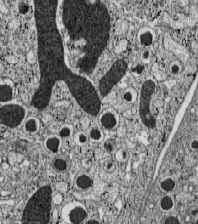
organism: C57BL Mouse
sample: Pancreatic islet